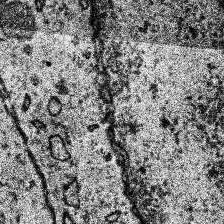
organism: Human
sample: Temporal Lobe